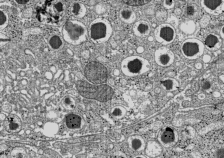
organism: C57BL Mouse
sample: Pancreatic islet